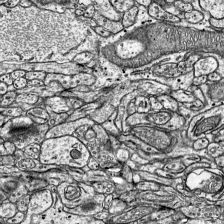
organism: Mouse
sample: Visual Cortex